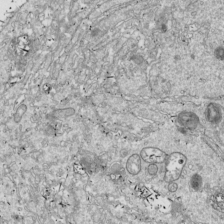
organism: Drosophila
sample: Cell division; meiosis; drosophila spermatocytes